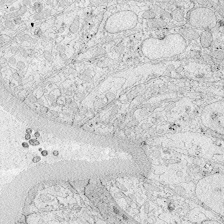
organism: Zebrafish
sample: Whole-Brain